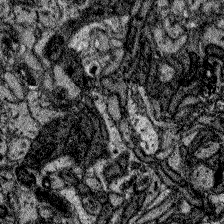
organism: Zebrafish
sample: Larval olfactory bulb